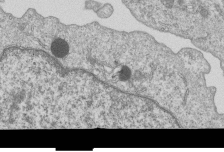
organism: Human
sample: MDA-MB-231 cells